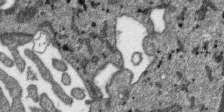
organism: Human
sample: Lung epithelial cells infected with SARS-CoV-2